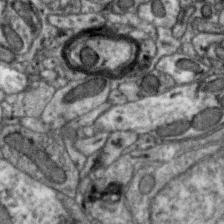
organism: Zebra finch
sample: Brain